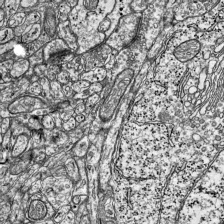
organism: Mouse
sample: Visual Cortex